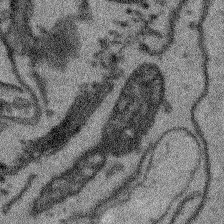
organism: Arabidopsis thaliana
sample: Root tip